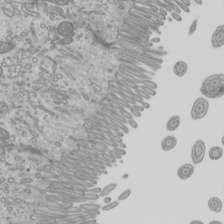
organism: Mouse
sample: Cilia; mouse epididymis